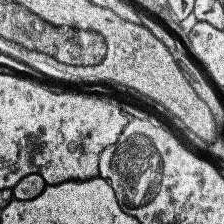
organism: Human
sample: Temporal Lobe